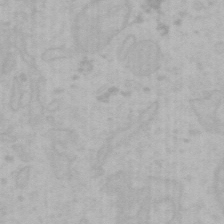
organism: Mouse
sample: Choroid plexus